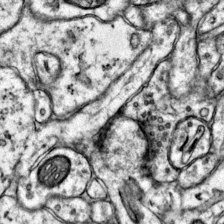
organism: Mouse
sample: Primary visual cortex